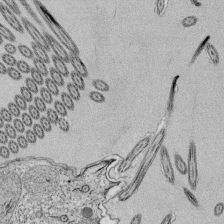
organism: Tetrahymena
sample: Cilia in tetrahymena